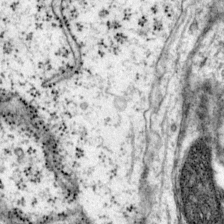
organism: Mouse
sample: Primary visual cortex